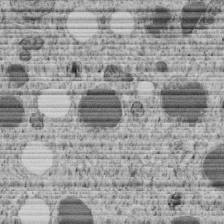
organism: C. elegans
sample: C. elegans embryo early stage